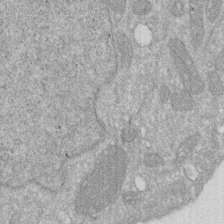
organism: Human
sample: HIV infected U937 cells